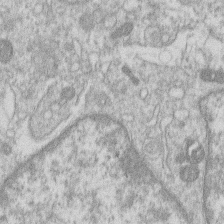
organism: Human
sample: Macrophage cells